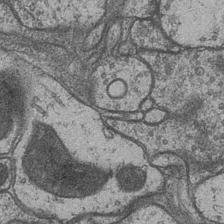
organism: Drosophila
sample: Optic medulla